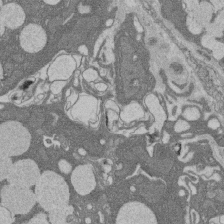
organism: Rat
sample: Salivary granule